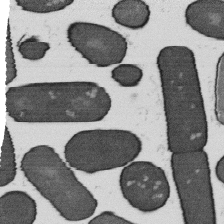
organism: B. subtilis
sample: Bacterial spore